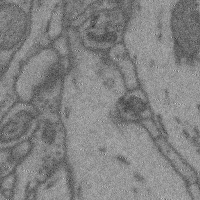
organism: Mouse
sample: Cerebral cortex